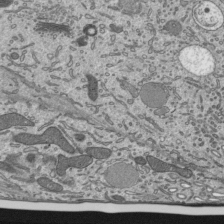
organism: Mouse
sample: Mouse epididymis efferent ductule cilia